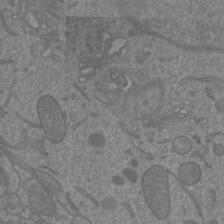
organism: Mouse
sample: Cortical neurons